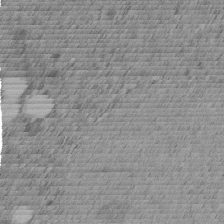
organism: C. elegans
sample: C. elegans embryo early stage